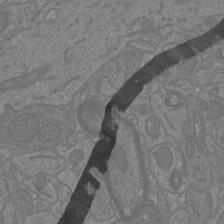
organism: Mouse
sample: Cortical neurons